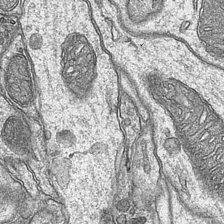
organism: Mouse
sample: CA1 Hippocampus